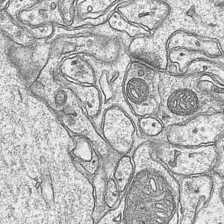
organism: Mouse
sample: CA1 Hippocampus